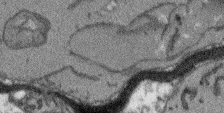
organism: Arabidopsis thaliana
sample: Root tip